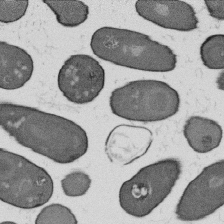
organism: B. subtilis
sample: Bacterial spore